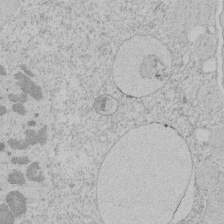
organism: Tetrahymena